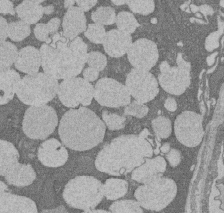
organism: Rat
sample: Salivary granule